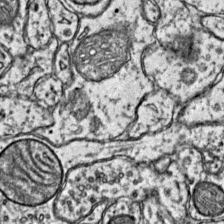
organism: Mouse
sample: Primary visual cortex